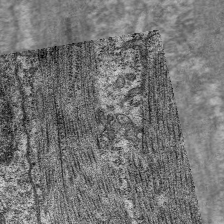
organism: C. elegans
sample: Pharynx